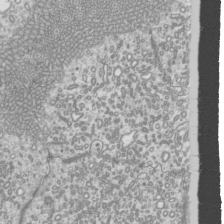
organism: Mouse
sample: Cilia; mouse epididymis